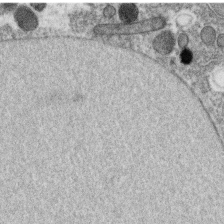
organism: C. elegans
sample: C. elegans oocyte; sperm cells